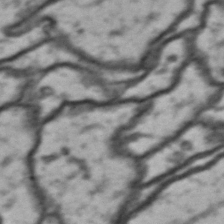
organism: Drosophila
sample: Brain